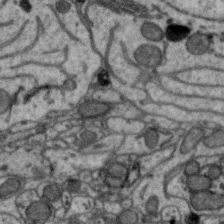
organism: Zebra finch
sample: Brain